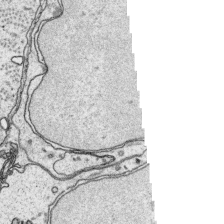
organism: Platynereis dumerilii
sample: Parapodia